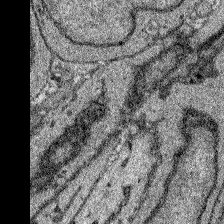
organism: Zebrafish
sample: Larval olfactory bulb